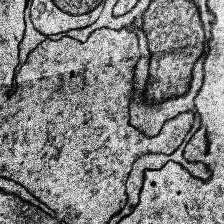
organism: Human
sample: Temporal Lobe